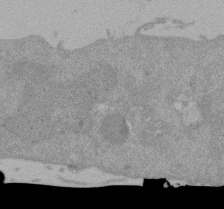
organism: Mouse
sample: ED-1 cell nuclei; centrioles